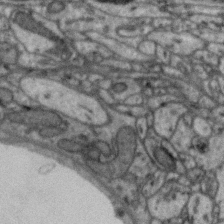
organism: Zebra finch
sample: Brain